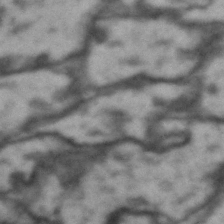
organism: Drosophila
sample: Brain